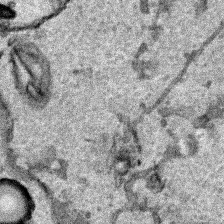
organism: Human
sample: Mitochondria in HCT116 cells